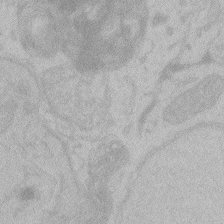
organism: Zebrafish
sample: Macrophage infected with Toxoplasma gondii